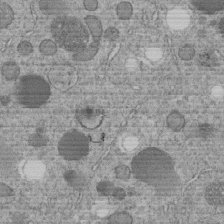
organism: C. elegans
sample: C. elegans embryo early stage